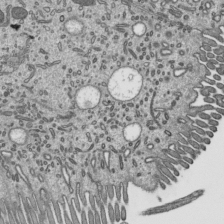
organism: Mouse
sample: Mouse epididymis efferent ductule cilia